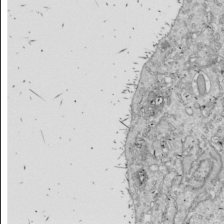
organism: Drosophila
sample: Cell division; meiosis; drosophila spermatocytes